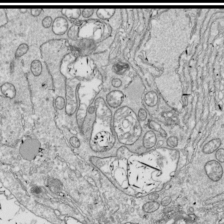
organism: Drosophila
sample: Cell division; meiosis; drosophila spermatocytes